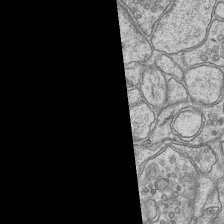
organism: Mouse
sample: CA1 Hippocampus